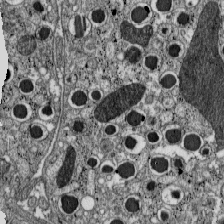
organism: C57BL Mouse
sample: Pancreatic islet